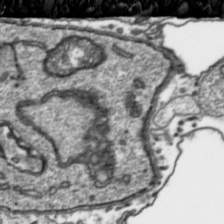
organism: Toxoplasma gondii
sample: Parasites in a vacuole inside a host cell